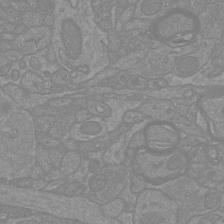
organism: Mouse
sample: Cortical neurons